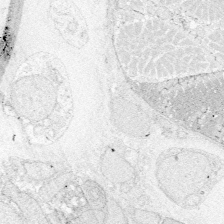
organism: Zebrafish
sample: Whole-Brain